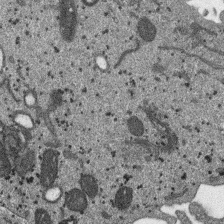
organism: Human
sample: Lung epithelial cells infected with SARS-CoV-2